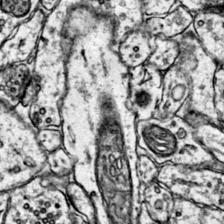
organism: Mouse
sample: Primary visual cortex